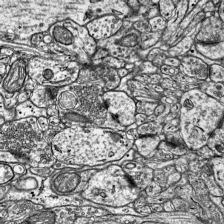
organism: Mouse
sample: Visual Cortex